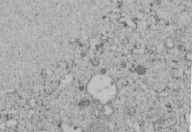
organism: C. elegans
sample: C. elegans embryo early stage